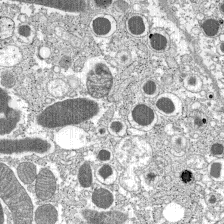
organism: C57BL Mouse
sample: Pancreatic islet